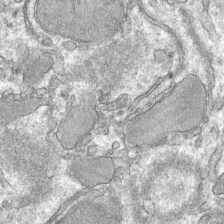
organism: Mouse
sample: Mouse hepatocytes